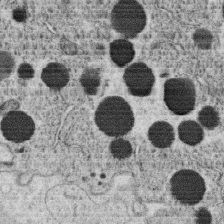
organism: C. elegans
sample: C. elegans oocyte; sperm cells